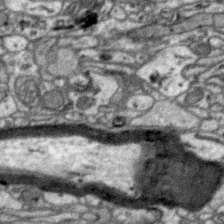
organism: Zebra finch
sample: Brain